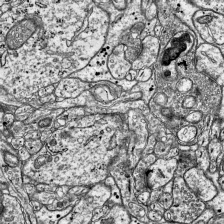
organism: Mouse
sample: Visual Cortex